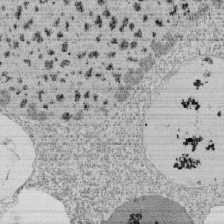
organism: Tetrahymena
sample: Cilia in tetrahymena